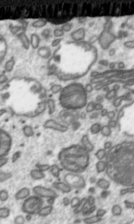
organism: Toxoplasma gondii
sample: Parasites in a vacuole inside a host cell